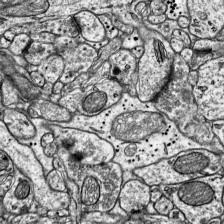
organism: Mouse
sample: Visual Cortex